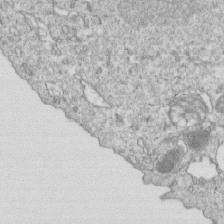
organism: Mouse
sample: Activated OT-1 CD8+ T cells